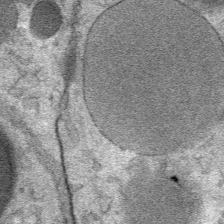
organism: Mouse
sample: Mouse Salivary gland